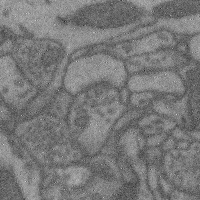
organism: Mouse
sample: Cerebral cortex